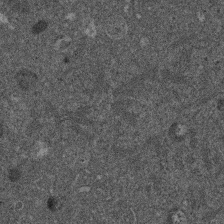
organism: Mouse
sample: Dividing mouse embryo 1 cell stage